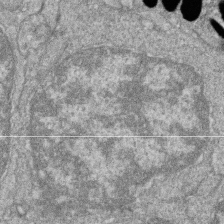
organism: Zebrafish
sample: Cilia; retinal pigment epithelium